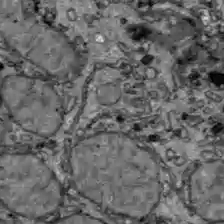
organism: C57BL Mouse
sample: Liver